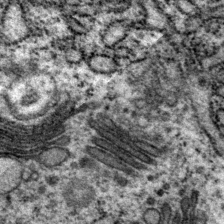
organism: P. pacificus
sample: Pharynx